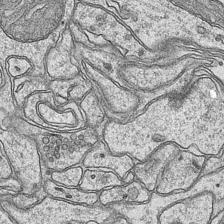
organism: Mouse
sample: CA1 Hippocampus